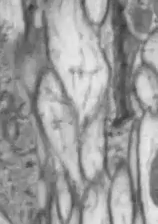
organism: Drosophila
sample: Optic lobe